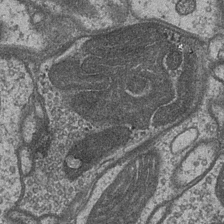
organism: Drosophila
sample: Optic medulla